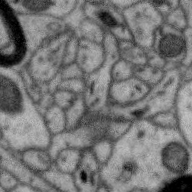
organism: Zebra finch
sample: Brain